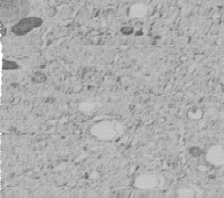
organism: C. elegans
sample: C. elegans embryo early stage